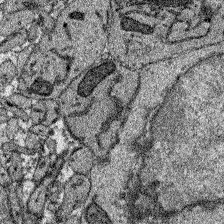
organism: Zebrafish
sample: Larval olfactory bulb